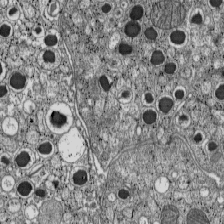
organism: C57BL Mouse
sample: Pancreatic islet